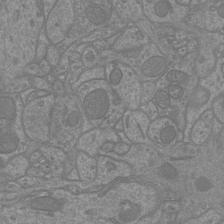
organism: Mouse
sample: Cortical neurons